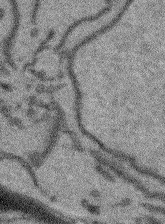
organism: Arabidopsis thaliana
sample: Root tip